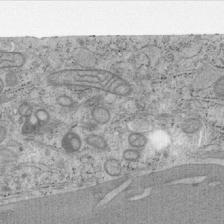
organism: Human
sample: HeLa cells